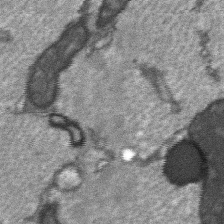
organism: C57BL Mouse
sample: Soleus